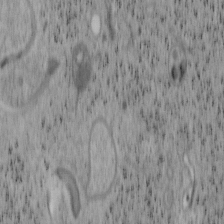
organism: Human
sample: HeLa cells